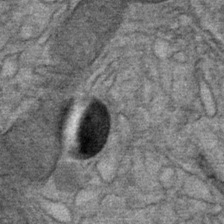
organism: Mouse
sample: Mouse Salivary gland